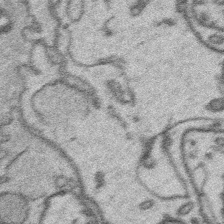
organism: Platynereis dumerilii